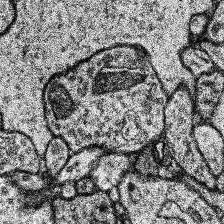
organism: Human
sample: Temporal Lobe